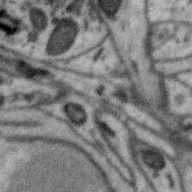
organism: Zebra finch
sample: Brain